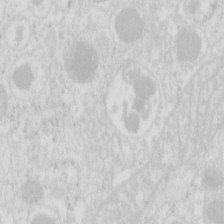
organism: Mouse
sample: Pancreas